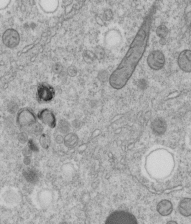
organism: C. elegans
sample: C. elegans embryo early stage